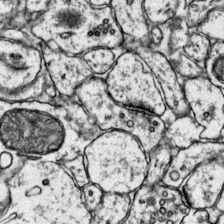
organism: Mouse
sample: Primary visual cortex